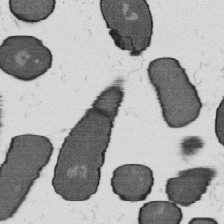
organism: B. subtilis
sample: Bacterial spore